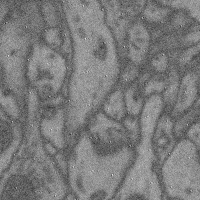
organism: Mouse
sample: Cerebral cortex